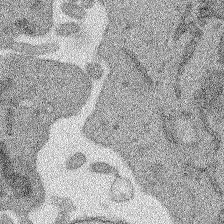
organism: Human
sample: HeLa cells